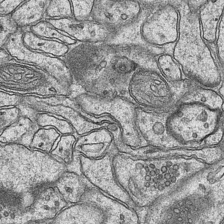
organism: Mouse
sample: CA1 Hippocampus